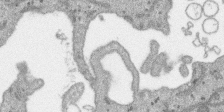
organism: Human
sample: Lung epithelial cells infected with SARS-CoV-2